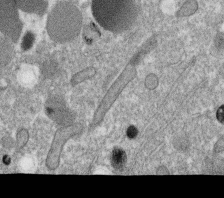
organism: C. elegans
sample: C. elegans oocyte; sperm cells